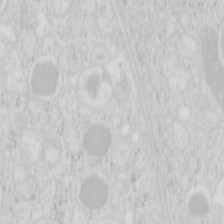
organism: Mouse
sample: Pancreas